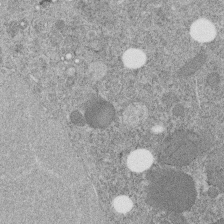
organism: C. elegans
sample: C. elegans embryo early stage